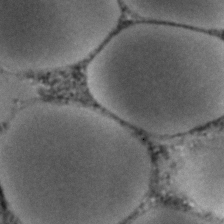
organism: Human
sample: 1205lu cells